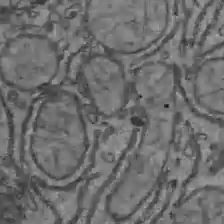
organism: C57BL Mouse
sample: Liver